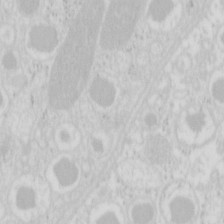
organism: Mouse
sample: Pancreas